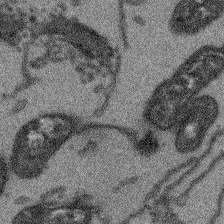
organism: Arabidopsis thaliana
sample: Root tip